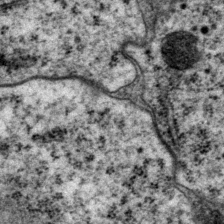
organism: P. pacificus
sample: Pharynx